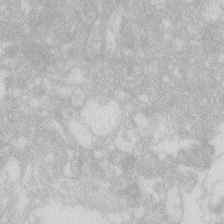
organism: Zebrafish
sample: Macrophage